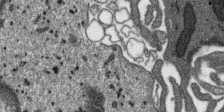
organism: Human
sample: Lung epithelial cells infected with SARS-CoV-2